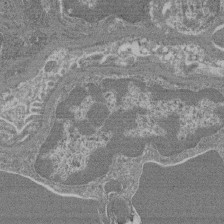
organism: Mouse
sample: Glomerulus